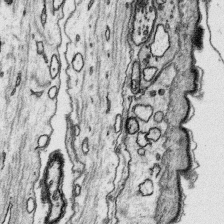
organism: Platynereis dumerilii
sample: Parapodia